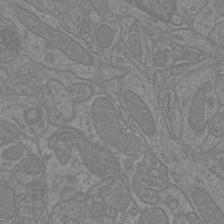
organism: Mouse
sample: Cortical neurons